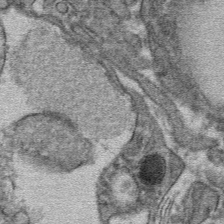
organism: Mouse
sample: Mouse hepatocytes